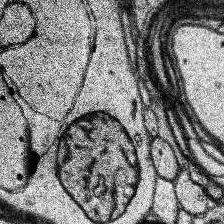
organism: Human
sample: Temporal Lobe